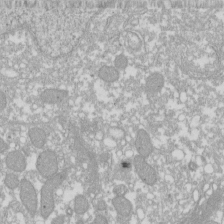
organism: Xenopus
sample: Cilia; centrioles in frog embryo cells